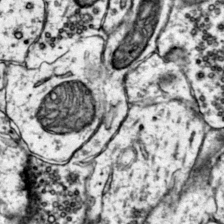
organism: Mouse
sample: Primary visual cortex